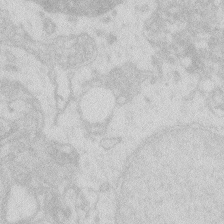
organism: Zebrafish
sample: Macrophage